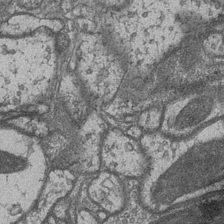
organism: Drosophila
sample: Optic medulla